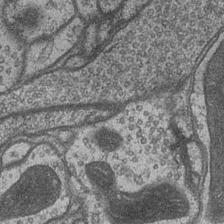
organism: Drosophila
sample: Optic medulla